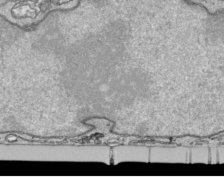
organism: Human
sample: Mitochondria in HCT116 cells